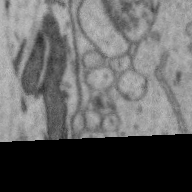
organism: Zebra finch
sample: Brain